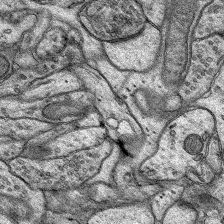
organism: Rat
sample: Hippocampus